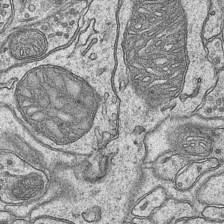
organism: Mouse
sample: CA1 Hippocampus